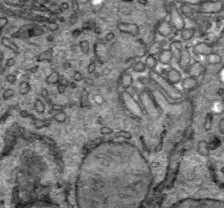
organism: C57BL Mouse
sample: Liver